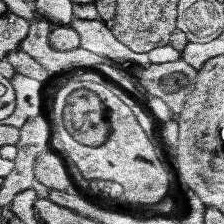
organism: Human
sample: Temporal Lobe